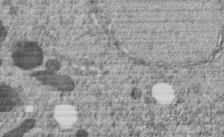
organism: C. elegans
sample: C. elegans embryo early stage